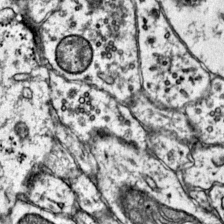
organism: Mouse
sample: Primary visual cortex